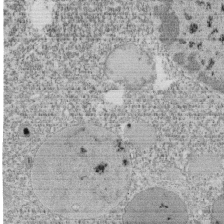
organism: Tetrahymena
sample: Cilia in tetrahymena